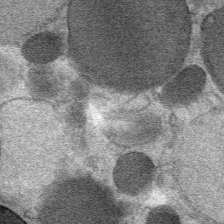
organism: Mouse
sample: Mouse Salivary gland